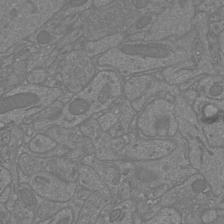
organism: Mouse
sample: Cortical neurons